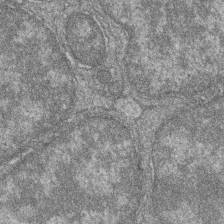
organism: Zebrafish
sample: Cilia; retinal pigment epithelium